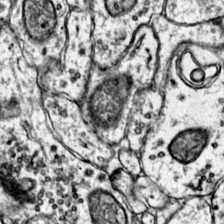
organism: Mouse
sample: Primary visual cortex